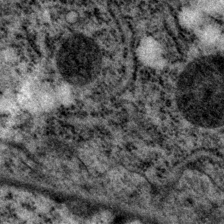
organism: P. pacificus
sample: Pharynx